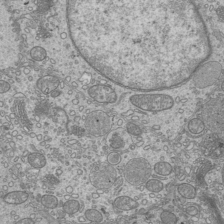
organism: Mouse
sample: Cilia; mouse epididymis